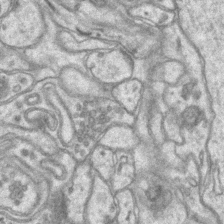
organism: Mouse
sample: CA1 Hippocampus